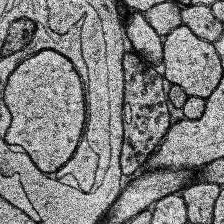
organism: Human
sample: Temporal Lobe